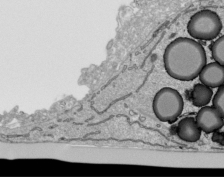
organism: Human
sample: Mitochondria in HCT116 cells